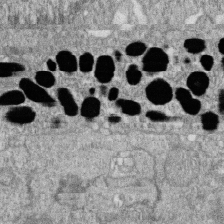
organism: Zebrafish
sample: Cilia; retinal pigment epithelium